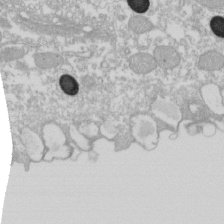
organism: Xenopus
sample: Cilia; centrioles in frog embryo cells